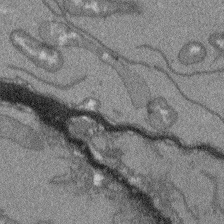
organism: Arabidopsis thaliana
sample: Root tip